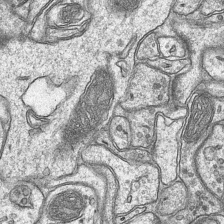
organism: Mouse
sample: CA1 Hippocampus